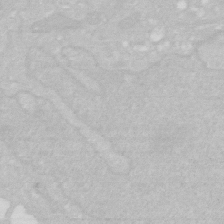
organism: Human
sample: HIV infected U937 cells